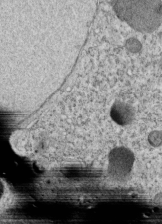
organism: C. elegans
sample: C. elegans embryo early stage